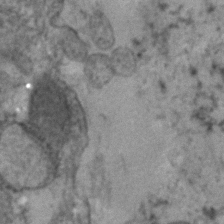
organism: Human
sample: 1205lu cells